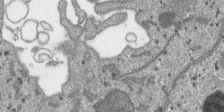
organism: Human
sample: Lung epithelial cells infected with SARS-CoV-2